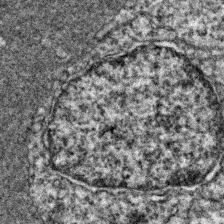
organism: Zebrafish